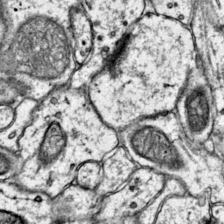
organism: Mouse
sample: Primary visual cortex